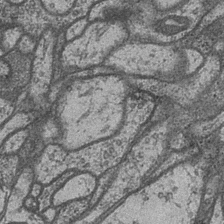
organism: Drosophila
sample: Optic medulla